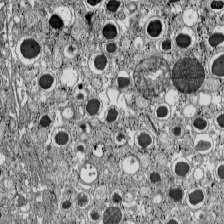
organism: C57BL Mouse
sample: Pancreatic islet